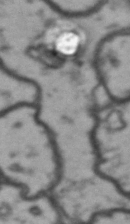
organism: Drosophila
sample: Brain